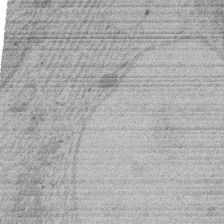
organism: Rat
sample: Salivary granule